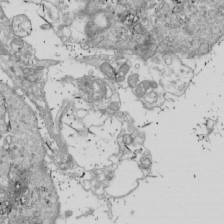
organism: Drosophila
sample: Cell division; meiosis; drosophila spermatocytes